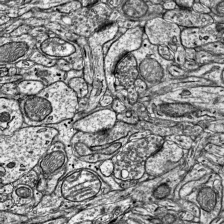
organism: Mouse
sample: Visual Cortex